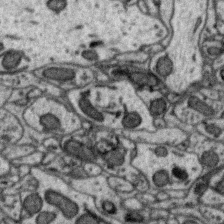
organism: Zebra finch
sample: Brain